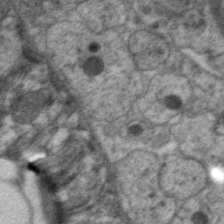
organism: C. elegans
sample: Pharynx